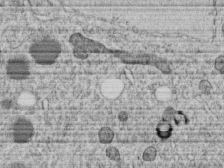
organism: C. elegans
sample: C. elegans embryo early stage